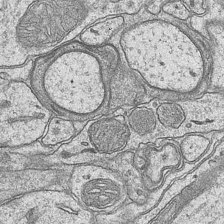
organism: Mouse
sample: CA1 Hippocampus